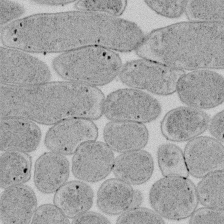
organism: E. coli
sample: Bacterial nucleoid